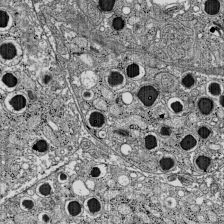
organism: C57BL Mouse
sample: Pancreatic islet